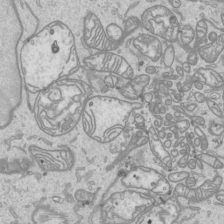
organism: Human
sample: Mitochondria in HCT116 cells